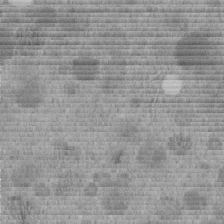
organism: C. elegans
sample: C. elegans embryo early stage